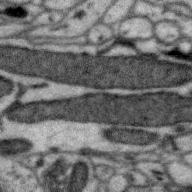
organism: Zebra finch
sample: Brain